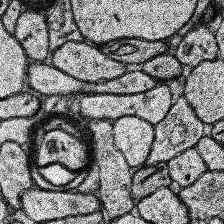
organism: Human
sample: Temporal Lobe